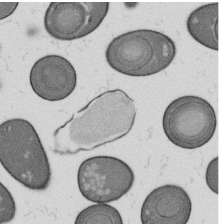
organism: B. subtilis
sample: Bacterial spore